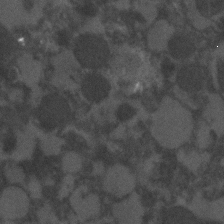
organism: C. elegans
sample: C. elegans embryo